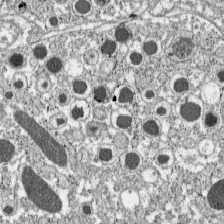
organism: C57BL Mouse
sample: Pancreatic islet